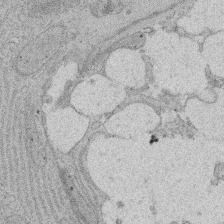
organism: Rat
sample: Salivary granule